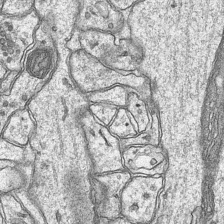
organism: Mouse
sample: CA1 Hippocampus